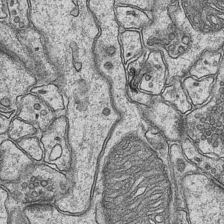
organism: Mouse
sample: CA1 Hippocampus